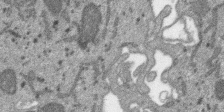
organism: Human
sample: Lung epithelial cells infected with SARS-CoV-2